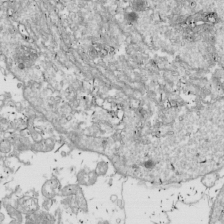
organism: Drosophila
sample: Cell division; meiosis; drosophila spermatocytes